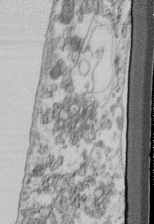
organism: Mouse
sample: Cilia; retinal pigment epithelium